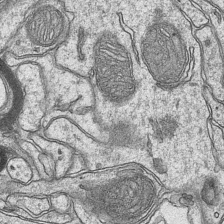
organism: Mouse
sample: CA1 Hippocampus